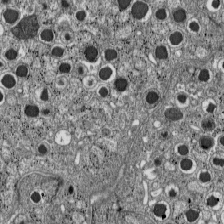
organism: C57BL Mouse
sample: Pancreatic islet